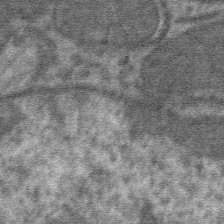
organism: Mouse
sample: Mouse hepatocytes